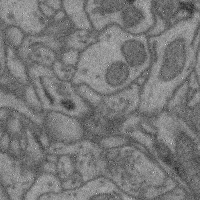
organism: Mouse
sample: Cerebral cortex